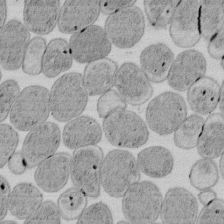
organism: E. coli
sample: Bacterial nucleoid